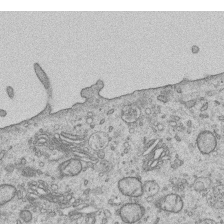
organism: Human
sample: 1205lu cells